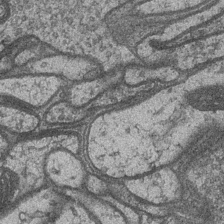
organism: Drosophila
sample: Optic medulla